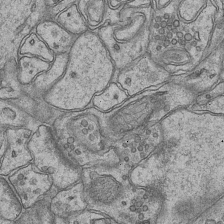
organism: Mouse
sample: CA1 Hippocampus